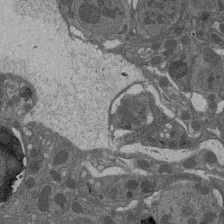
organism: Drosophila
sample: Antenna